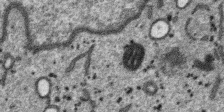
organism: Human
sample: Lung epithelial cells infected with SARS-CoV-2